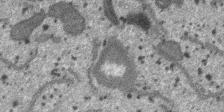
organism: Human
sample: Lung epithelial cells infected with SARS-CoV-2